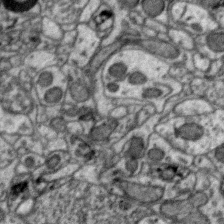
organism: Zebra finch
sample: Brain